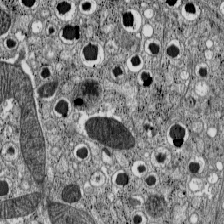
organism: C57BL Mouse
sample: Pancreatic islet